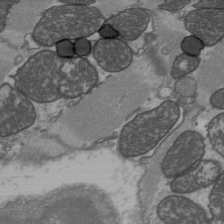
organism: C57BL Mouse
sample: Heart